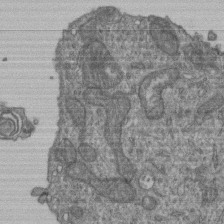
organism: Human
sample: Retinal organoid Rod and Cone cells